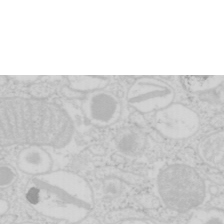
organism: Mouse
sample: Pancreas